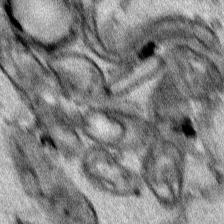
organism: Human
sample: Mitochondria in HCT116 cells